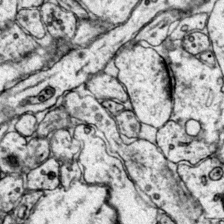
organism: Mouse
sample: Primary visual cortex